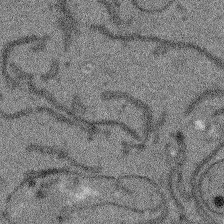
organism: Arabidopsis thaliana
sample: Root tip